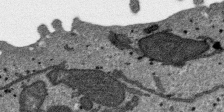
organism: Human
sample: Lung epithelial cells, uninfected (mock) control